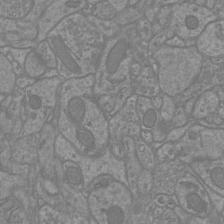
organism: Mouse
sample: Cortical neurons